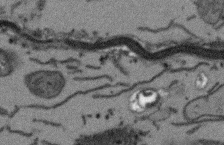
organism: Arabidopsis thaliana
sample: Root tip